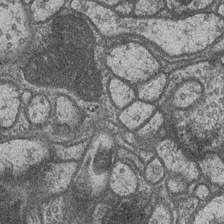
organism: Drosophila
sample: Optic medulla